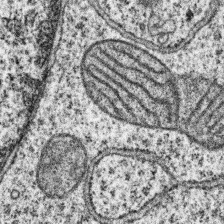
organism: Human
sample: HeLa cells